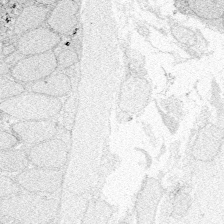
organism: Zebrafish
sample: Whole-Brain